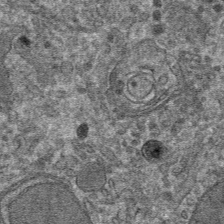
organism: Mouse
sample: Mouse hepatocytes